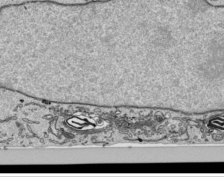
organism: Human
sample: Mitochondria in HCT116 cells